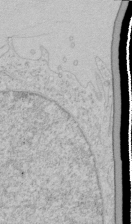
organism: Human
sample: Mitochondria in HCT116 cells